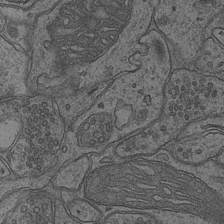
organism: Mouse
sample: CA1 Hippocampus